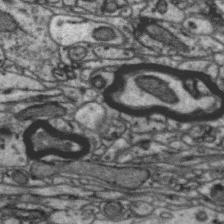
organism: Zebra finch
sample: Brain